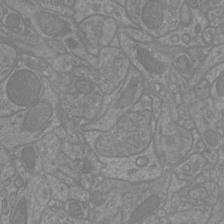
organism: Mouse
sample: Cortical neurons